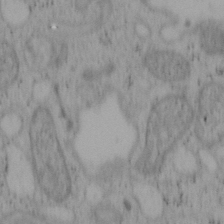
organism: Mouse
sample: OT-I killer T cells with ID8 ovarian cancer cells